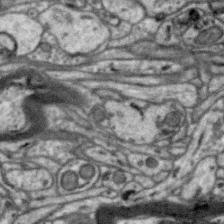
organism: Zebra finch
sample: Brain